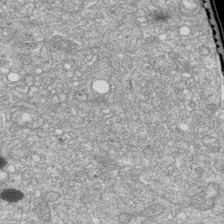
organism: Human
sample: HeLa cell HIV synapse